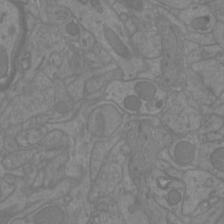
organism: Mouse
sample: Cortical neurons